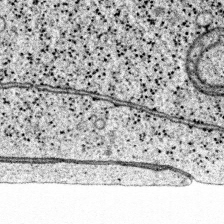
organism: Human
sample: HeLa cells